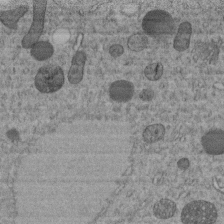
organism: C. elegans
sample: C. elegans embryo early stage